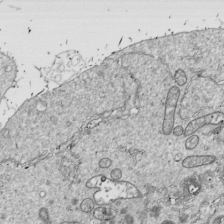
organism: Drosophila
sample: Cell division; meiosis; drosophila spermatocytes